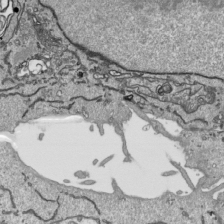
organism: Human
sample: Mitochondria in HCT116 cells